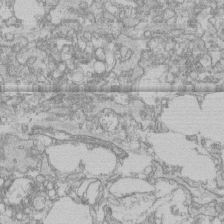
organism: Human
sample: CRL-1474